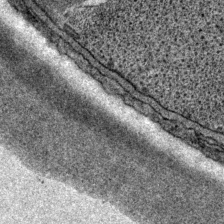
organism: P. pacificus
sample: Pharynx